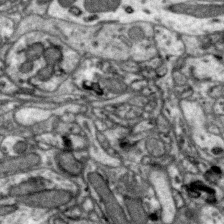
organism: Zebra finch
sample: Brain